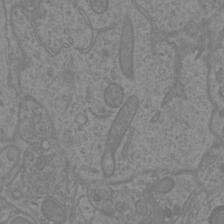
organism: Mouse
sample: Cortical neurons